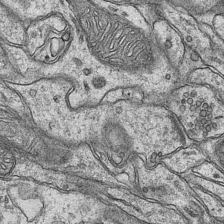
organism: Mouse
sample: CA1 Hippocampus